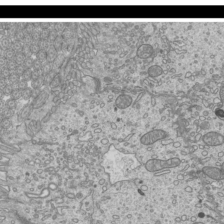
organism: Mouse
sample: Cilia; mouse epididymis